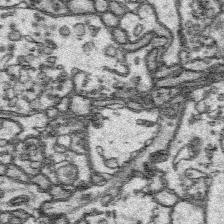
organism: Platynereis dumerilii